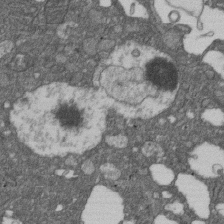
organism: Drosophila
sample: Nephrocyte